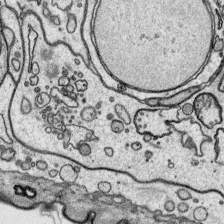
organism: Platynereis dumerilii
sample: Parapodia